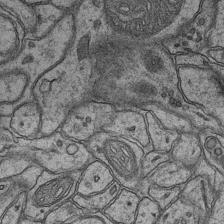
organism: Mouse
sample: CA1 Hippocampus